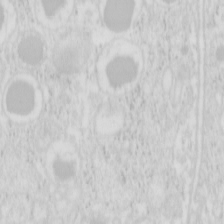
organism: Mouse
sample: Pancreas